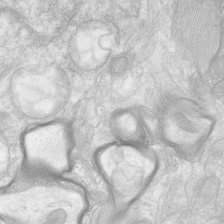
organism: Human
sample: Neocortex